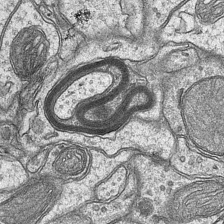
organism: Mouse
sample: CA1 Hippocampus